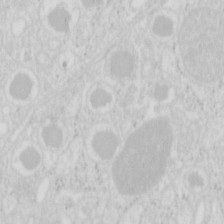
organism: Mouse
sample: Pancreas